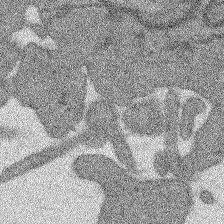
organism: Human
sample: HeLa cells